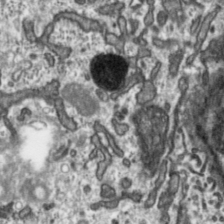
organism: Toxoplasma gondii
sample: Parasites in a vacuole inside a host cell